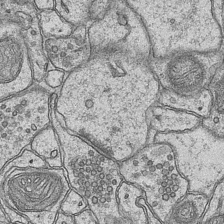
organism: Mouse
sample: CA1 Hippocampus